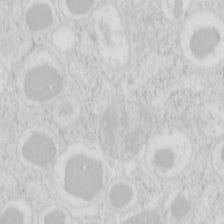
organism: Mouse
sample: Pancreas